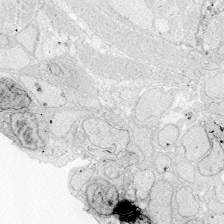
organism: Zebrafish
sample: Whole-Brain